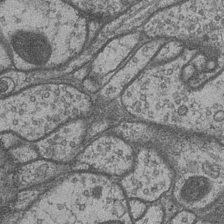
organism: Drosophila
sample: Optic medulla